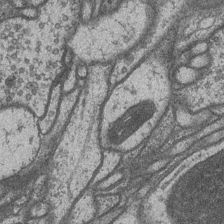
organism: Drosophila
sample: Optic medulla